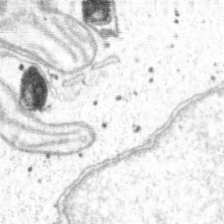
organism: Human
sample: HeLa cells